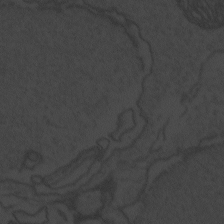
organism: Zebrafish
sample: Macrophage infected with Toxoplasma gondii